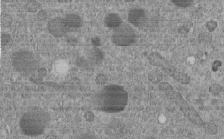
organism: C. elegans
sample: C. elegans embryo early stage